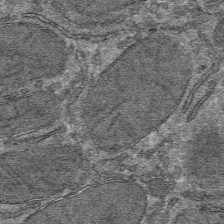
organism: Mouse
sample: Mouse hepatocytes